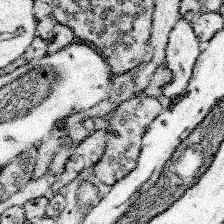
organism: Mouse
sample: Somatosensory cortex neuropil